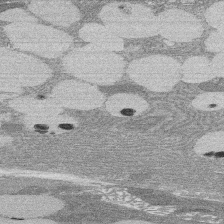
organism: Rat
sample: Salivary granule